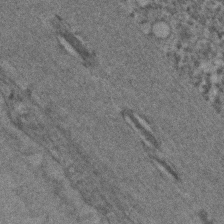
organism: C. elegans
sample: C. elegans embryo